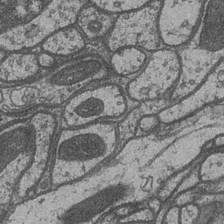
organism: Drosophila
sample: Optic medulla